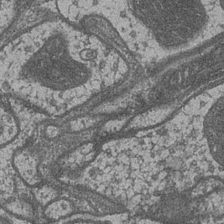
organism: Drosophila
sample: Optic medulla